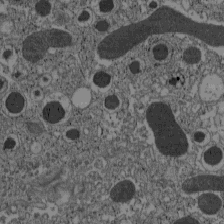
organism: C57BL Mouse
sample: Pancreatic islet